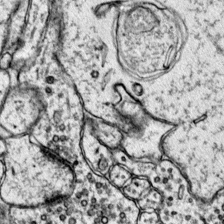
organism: Mouse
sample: Primary visual cortex